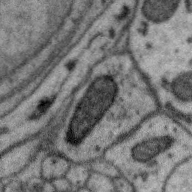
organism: Zebra finch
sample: Brain